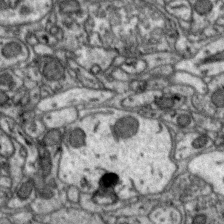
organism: Zebra finch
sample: Brain